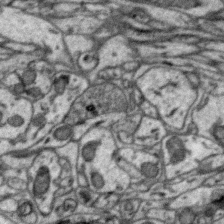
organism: Zebra finch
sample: Brain